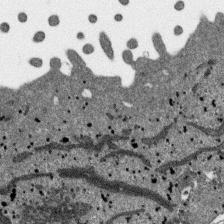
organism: Human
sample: Lung epithelial cells, uninfected (mock) control